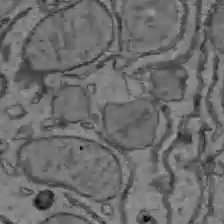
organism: C57BL Mouse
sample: Liver